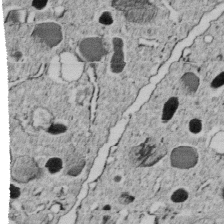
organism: C. elegans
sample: C. elegans embryo early stage